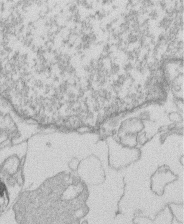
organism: Human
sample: Macrophage cells